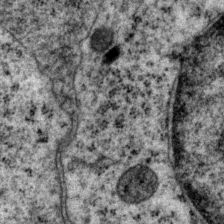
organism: P. pacificus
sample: Pharynx